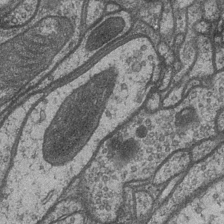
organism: Drosophila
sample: Optic medulla